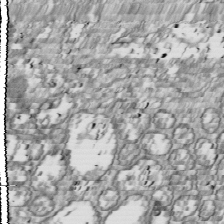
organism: Drosophila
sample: Cell division; meiosis; drosophila spermatocytes